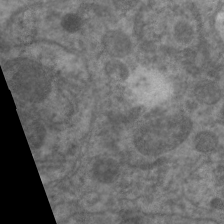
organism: C. elegans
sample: Pharynx